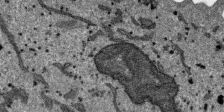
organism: Human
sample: Lung epithelial cells, uninfected (mock) control